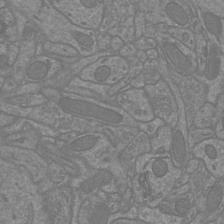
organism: Mouse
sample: Cortical neurons